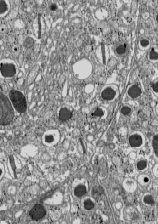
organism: C57BL Mouse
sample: Pancreatic islet